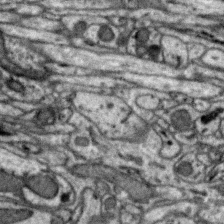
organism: Zebra finch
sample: Brain